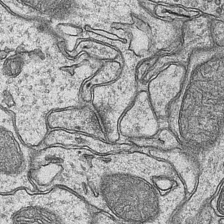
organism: Mouse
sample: CA1 Hippocampus